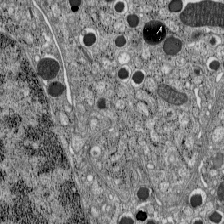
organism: C57BL Mouse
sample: Pancreatic islet